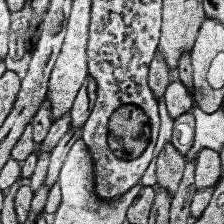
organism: Human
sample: Temporal Lobe